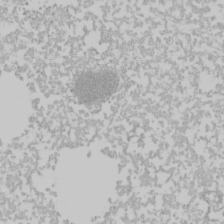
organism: Mouse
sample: Cancer cell death in ED-1 cells